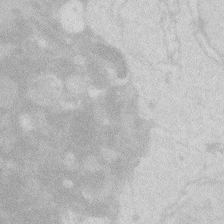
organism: Zebrafish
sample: Macrophage